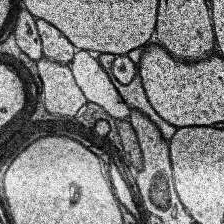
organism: Human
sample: Temporal Lobe